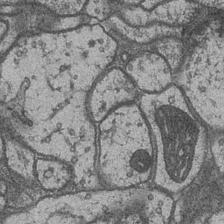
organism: Drosophila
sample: Optic medulla